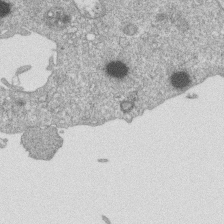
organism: Human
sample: HeLa cell HIV synapse